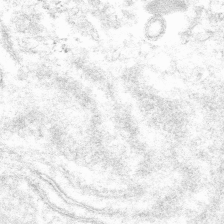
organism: Mouse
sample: Mouse hepatocytes